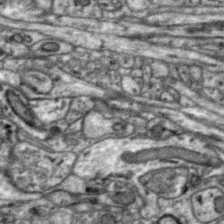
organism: Zebra finch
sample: Brain